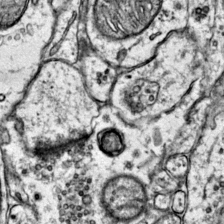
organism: Mouse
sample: Primary visual cortex